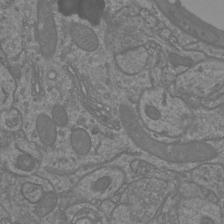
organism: Mouse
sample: Cortical neurons